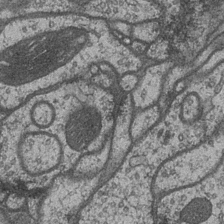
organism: Drosophila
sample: Optic medulla